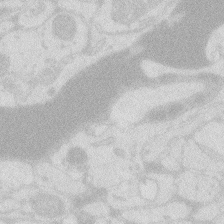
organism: Zebrafish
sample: Macrophage